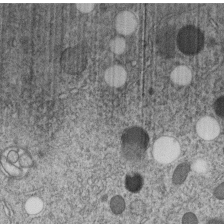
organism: C. elegans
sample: C. elegans embryo early stage